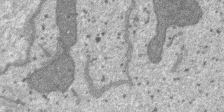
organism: Human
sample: Lung epithelial cells infected with SARS-CoV-2